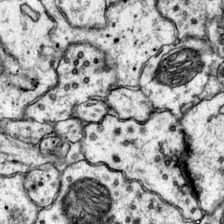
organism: Mouse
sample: Primary visual cortex